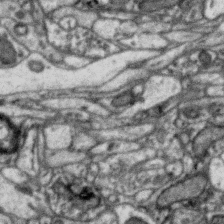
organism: Zebra finch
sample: Brain